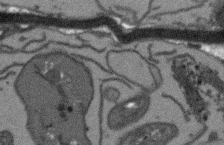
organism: Arabidopsis thaliana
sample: Root tip